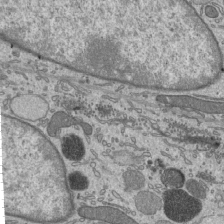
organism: Mouse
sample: Mouse epididymis efferent ductule cilia